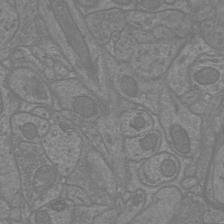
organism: Mouse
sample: Cortical neurons